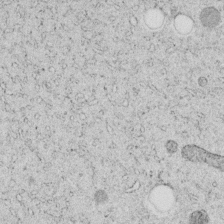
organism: C. elegans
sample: C. elegans embryo early stage